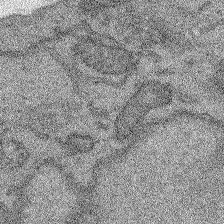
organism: Human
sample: HeLa cells